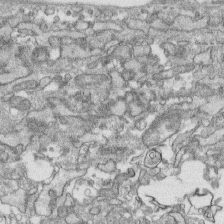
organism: Human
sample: CRL-1474